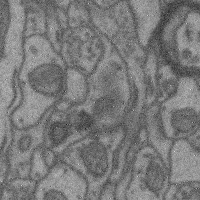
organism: Mouse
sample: Cerebral cortex